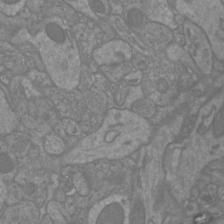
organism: Mouse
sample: Cortical neurons